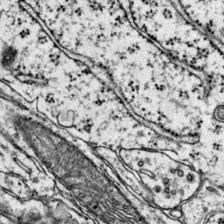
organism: Mouse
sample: Primary visual cortex